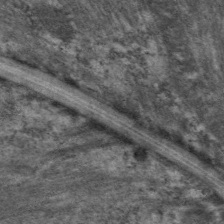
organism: C. elegans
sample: Pharynx